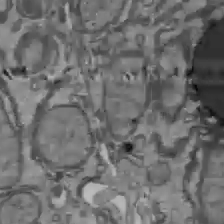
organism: C57BL Mouse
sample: Liver